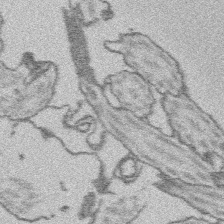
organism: Platynereis dumerilii